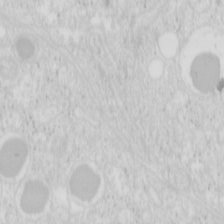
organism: Mouse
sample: Pancreas